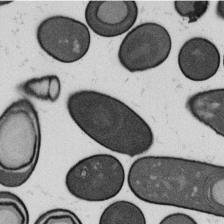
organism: B. subtilis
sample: Bacterial spore